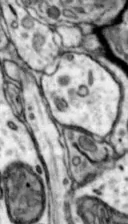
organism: Mouse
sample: Nucleus accumbens